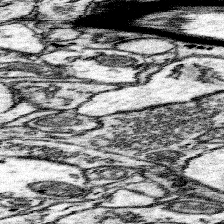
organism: Mouse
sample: Somatosensory cortex neuropil